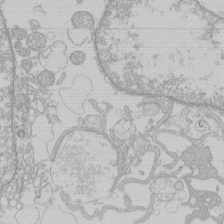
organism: Human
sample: Macrophage cells